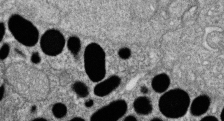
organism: Zebrafish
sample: Cilia; retinal pigment epithelium